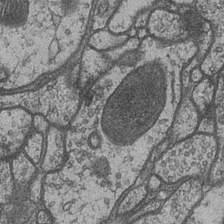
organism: Drosophila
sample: Optic medulla